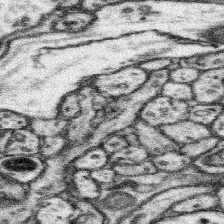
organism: Mouse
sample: Somatosensory cortex neuropil